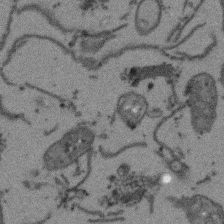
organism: Arabidopsis thaliana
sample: Root tip